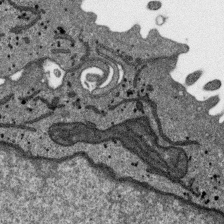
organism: Human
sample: Lung epithelial cells, uninfected (mock) control